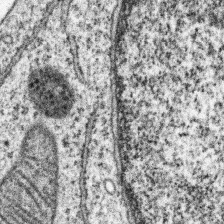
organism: Human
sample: HeLa cells